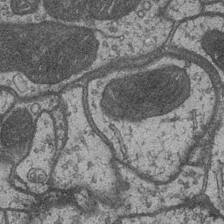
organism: Drosophila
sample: Optic medulla